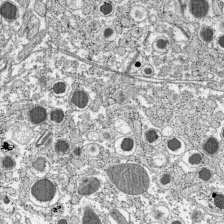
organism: C57BL Mouse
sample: Pancreatic islet